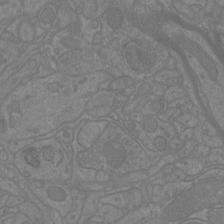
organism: Mouse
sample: Cortical neurons